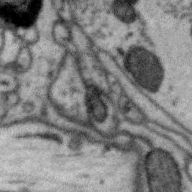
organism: Zebra finch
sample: Brain